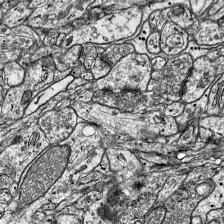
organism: Mouse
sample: Visual Cortex